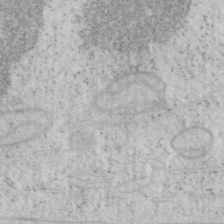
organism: Human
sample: HeLa cells